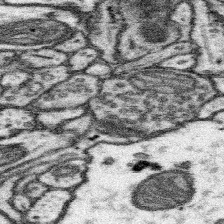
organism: Mouse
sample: Somatosensory cortex neuropil